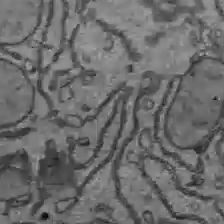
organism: C57BL Mouse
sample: Liver